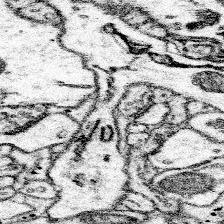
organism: Mouse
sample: Somatosensory cortex neuropil